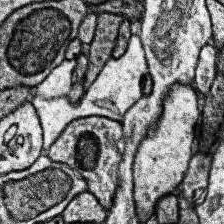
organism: Human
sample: Temporal Lobe